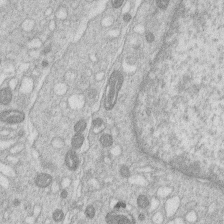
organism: Human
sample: Macrophage cells